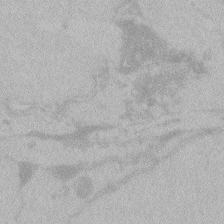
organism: Zebrafish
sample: Macrophage infected with Toxoplasma gondii